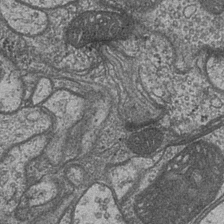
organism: Drosophila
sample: Optic medulla